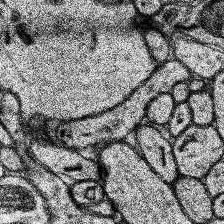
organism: Human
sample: Temporal Lobe